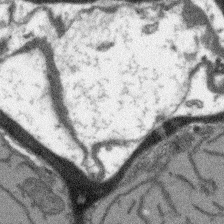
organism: Arabidopsis thaliana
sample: Root tip